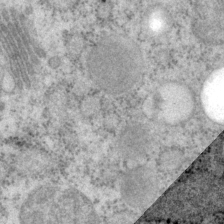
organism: P. pacificus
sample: Pharynx